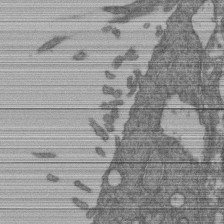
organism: Human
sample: Retinal organoid Rod and Cone cells